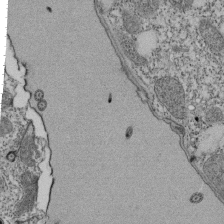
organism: Tetrahymena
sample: Cilia in tetrahymena